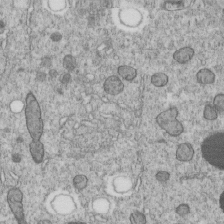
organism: C. elegans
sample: C. elegans embryo early stage